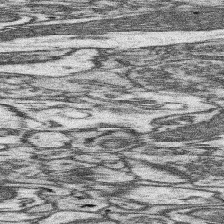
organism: Mouse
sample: Somatosensory cortex neuropil